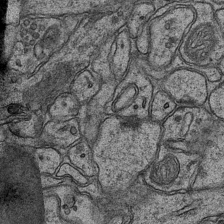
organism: Mouse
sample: CA1 Hippocampus